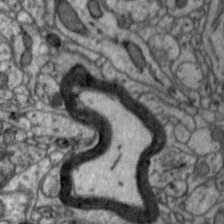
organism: Zebra finch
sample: Brain